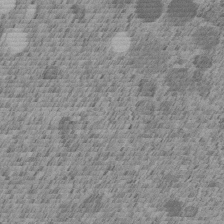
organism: C. elegans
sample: C. elegans embryo early stage